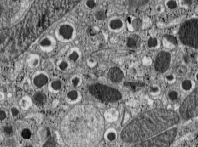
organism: C57BL Mouse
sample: Pancreatic islet